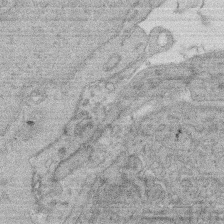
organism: Rat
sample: Salivary granule